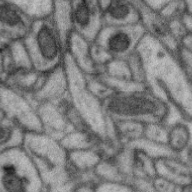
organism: Zebra finch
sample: Brain